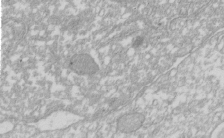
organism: Xenopus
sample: Cilia; centrioles in frog embryo cells